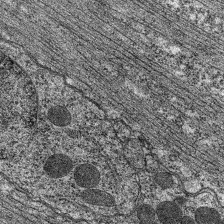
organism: C. elegans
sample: Pharynx